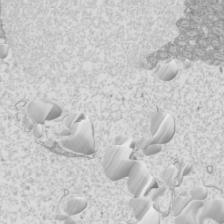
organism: Mouse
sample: Cilia; mouse epididymis